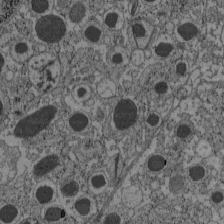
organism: C57BL Mouse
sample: Pancreatic islet